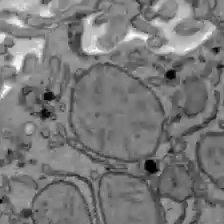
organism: C57BL Mouse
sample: Liver